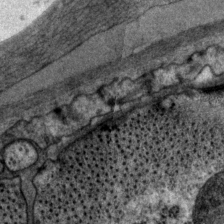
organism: P. pacificus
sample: Pharynx